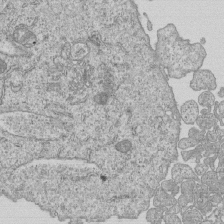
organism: Human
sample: MDA-MB-231 cells